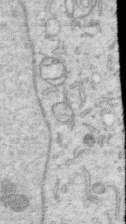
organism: Human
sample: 1205lu cells